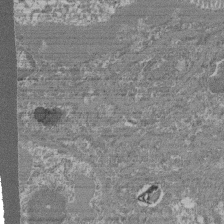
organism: Mouse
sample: Glomerulus